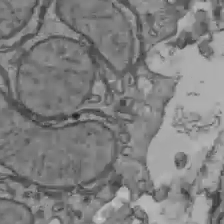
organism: C57BL Mouse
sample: Liver